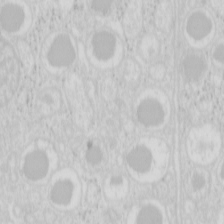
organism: Mouse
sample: Pancreas